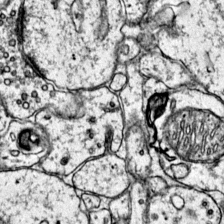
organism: Mouse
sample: Primary visual cortex